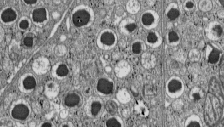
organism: C57BL Mouse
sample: Pancreatic islet